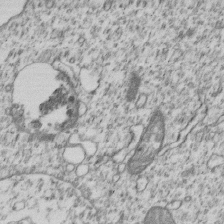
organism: Human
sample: MDA-MB-231 cells